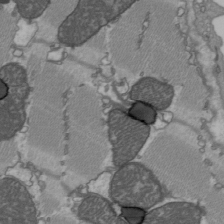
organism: C57BL Mouse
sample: Heart